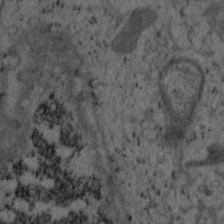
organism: Human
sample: HeLa cells